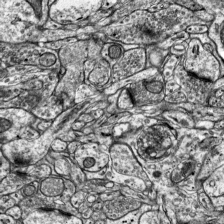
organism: Mouse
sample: Visual Cortex